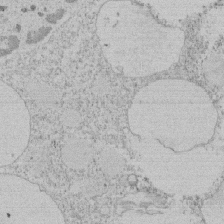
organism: Tetrahymena